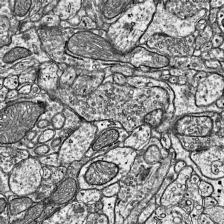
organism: Mouse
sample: Visual Cortex